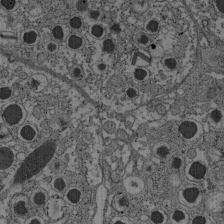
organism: C57BL Mouse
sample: Pancreatic islet